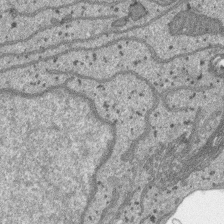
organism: Human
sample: Lung epithelial cells infected with SARS-CoV-2